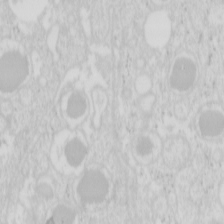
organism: Mouse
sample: Pancreas